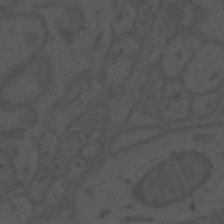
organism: Mouse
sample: Suprachiasmatic nucleus